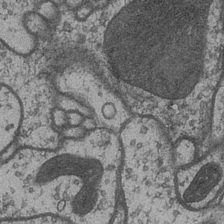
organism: Drosophila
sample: Optic medulla